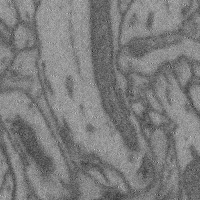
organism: Mouse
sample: Cerebral cortex